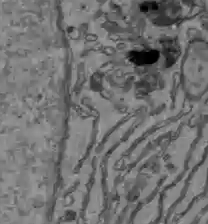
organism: C57BL Mouse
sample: Liver